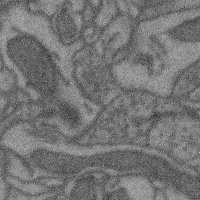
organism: Mouse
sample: Cerebral cortex